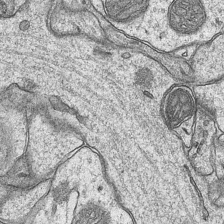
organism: Mouse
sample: CA1 Hippocampus